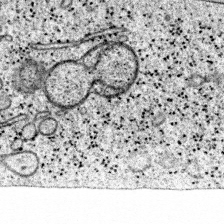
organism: Human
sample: HeLa cells